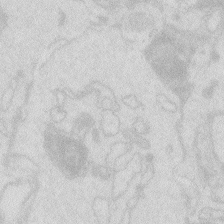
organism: Zebrafish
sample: Macrophage